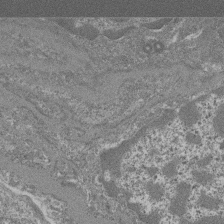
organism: Mouse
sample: Glomerulus